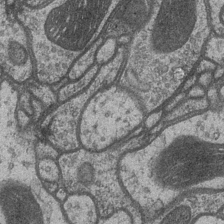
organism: Drosophila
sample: Optic medulla